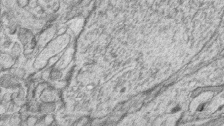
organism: Zebrafish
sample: synaptic ribbons in rod cells and cone cells